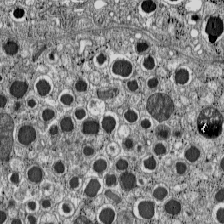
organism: C57BL Mouse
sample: Pancreatic islet